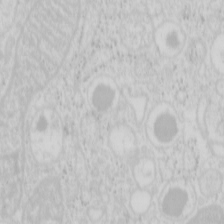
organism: Mouse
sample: Pancreas